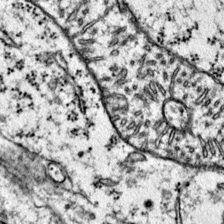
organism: Mouse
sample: Primary visual cortex